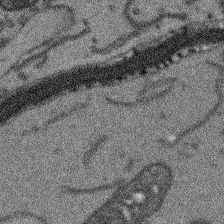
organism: Arabidopsis thaliana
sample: Root tip